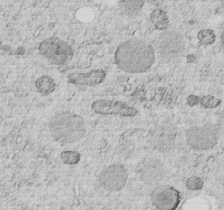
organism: C. elegans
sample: C. elegans embryo early stage